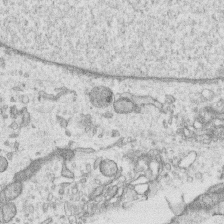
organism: Human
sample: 1205lu cells